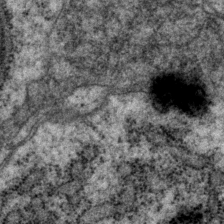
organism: P. pacificus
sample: Pharynx